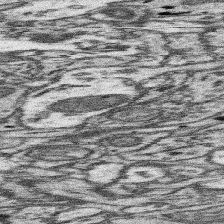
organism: Mouse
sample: Somatosensory cortex neuropil